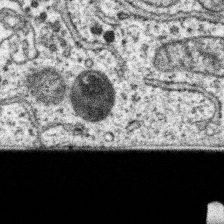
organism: Human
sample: HeLa cells